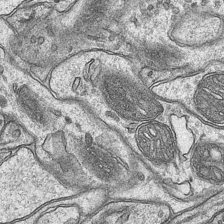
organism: Mouse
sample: CA1 Hippocampus